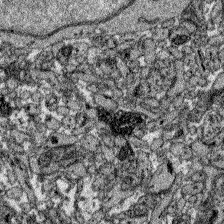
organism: Zebrafish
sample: Larval olfactory bulb